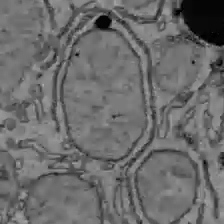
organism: C57BL Mouse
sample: Liver